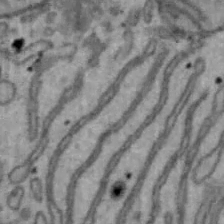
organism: Mouse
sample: Liver